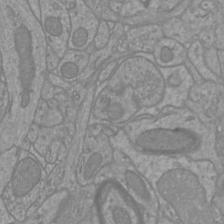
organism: Mouse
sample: Cortical neurons